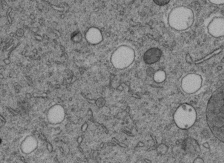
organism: C. elegans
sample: C. elegans embryo early stage